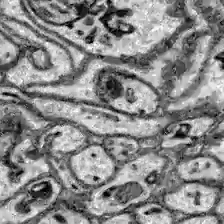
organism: Zebrafish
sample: Brain